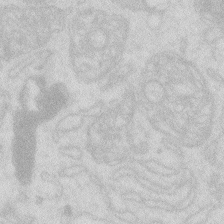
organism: Zebrafish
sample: Macrophage